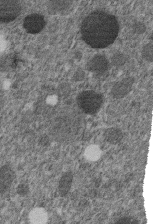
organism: C. elegans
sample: C. elegans embryo early stage